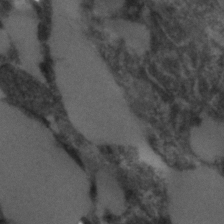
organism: C. elegans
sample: C. elegans embryo